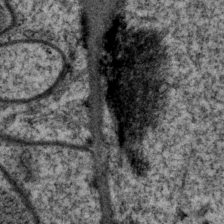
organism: P. pacificus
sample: Pharynx